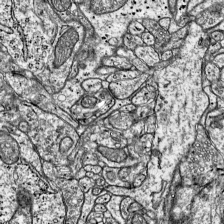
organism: Mouse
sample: Visual Cortex